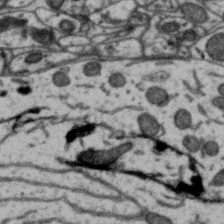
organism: Zebra finch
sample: Brain